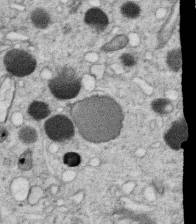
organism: C. elegans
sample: C. elegans oocyte; sperm cells